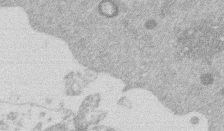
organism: Mouse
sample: Dividing mouse embryo 1 cell stage